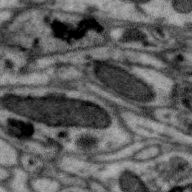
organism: Zebra finch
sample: Brain